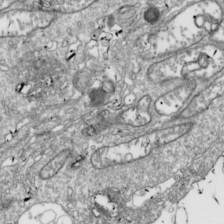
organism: Drosophila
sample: Cell division; meiosis; drosophila spermatocytes